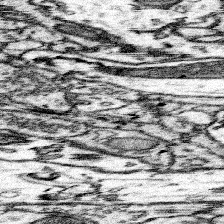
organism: Mouse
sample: Somatosensory cortex neuropil